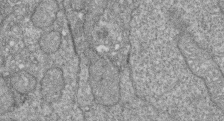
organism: Zebrafish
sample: Cilia; retinal pigment epithelium